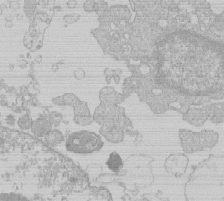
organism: Human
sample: Macrophage cells